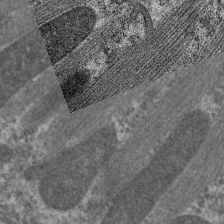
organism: C. elegans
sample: Pharynx